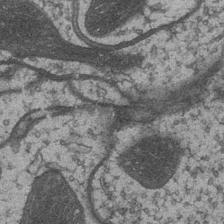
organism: Drosophila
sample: Optic medulla